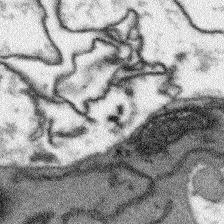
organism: Arabidopsis thaliana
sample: Root tip